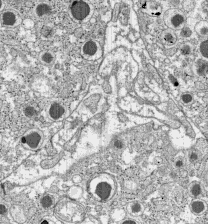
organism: C57BL Mouse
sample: Pancreatic islet